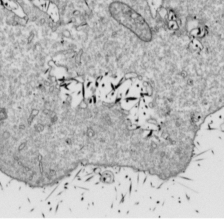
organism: Drosophila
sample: Cell division; meiosis; drosophila spermatocytes